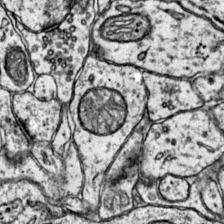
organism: Mouse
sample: Primary visual cortex